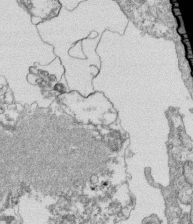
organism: Human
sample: HeLa cell HIV synapse